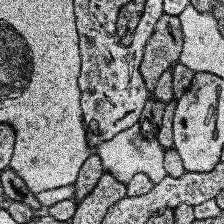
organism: Human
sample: Temporal Lobe